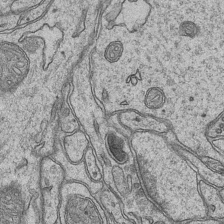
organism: Mouse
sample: CA1 Hippocampus